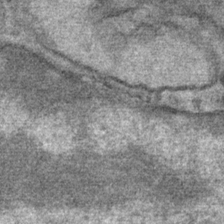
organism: Mouse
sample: Mouse Salivary gland